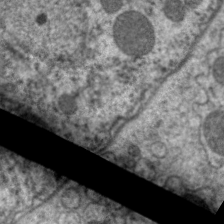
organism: C. elegans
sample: Pharynx